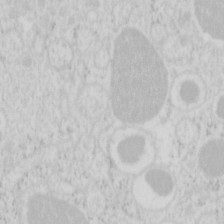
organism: Mouse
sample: Pancreas